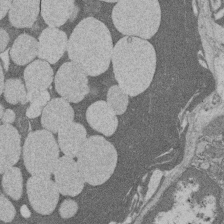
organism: Rat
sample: Salivary granule